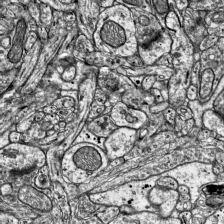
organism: Mouse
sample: Visual Cortex